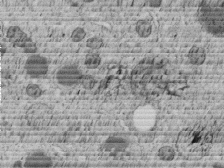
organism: C. elegans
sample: C. elegans embryo early stage